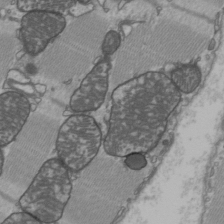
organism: C57BL Mouse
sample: Heart